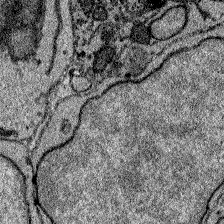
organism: Zebrafish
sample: Larval olfactory bulb